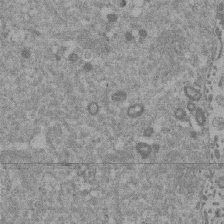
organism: Mouse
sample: Dividing mouse embryo 1 cell stage